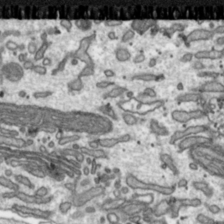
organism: Toxoplasma gondii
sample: Parasites in a vacuole inside a host cell